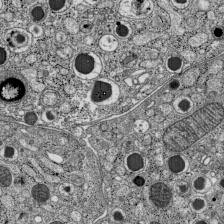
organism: C57BL Mouse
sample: Pancreatic islet